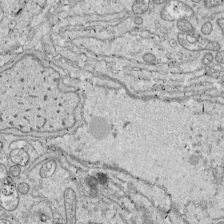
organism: Drosophila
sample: Cell division; meiosis; drosophila spermatocytes